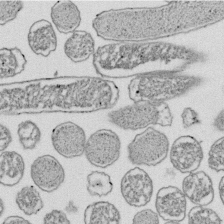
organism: E. coli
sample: Bacterial nucleoid